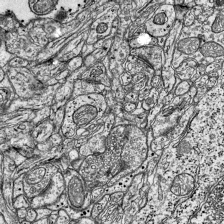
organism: Mouse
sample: Visual Cortex